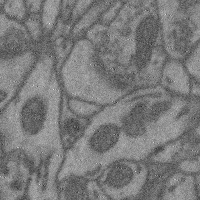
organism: Mouse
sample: Cerebral cortex